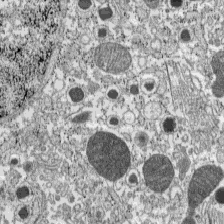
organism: C57BL Mouse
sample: Pancreatic islet